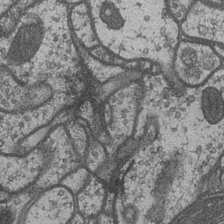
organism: Drosophila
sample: Optic medulla